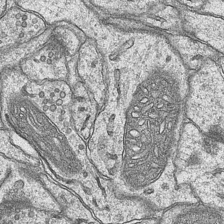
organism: Mouse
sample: CA1 Hippocampus